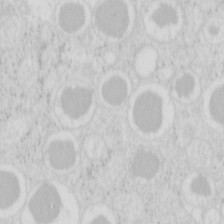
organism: Mouse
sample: Pancreas